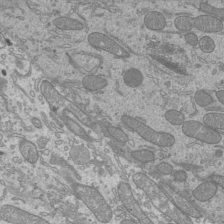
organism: Mouse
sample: Cilia; mouse epididymis